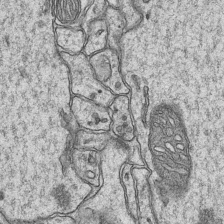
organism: Mouse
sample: CA1 Hippocampus